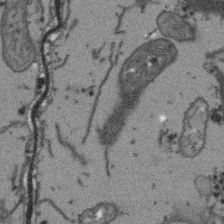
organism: Arabidopsis thaliana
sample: Root tip